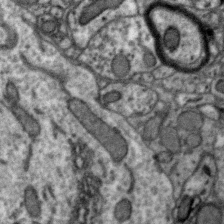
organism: Zebra finch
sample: Brain